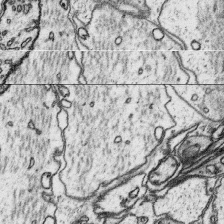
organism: Platynereis dumerilii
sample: Parapodia